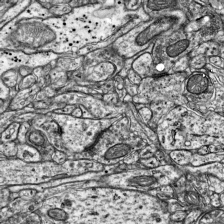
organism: Mouse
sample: Visual Cortex